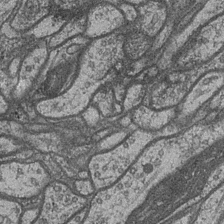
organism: Drosophila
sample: Optic medulla